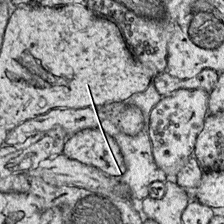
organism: Mouse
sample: Primary visual cortex